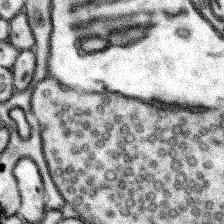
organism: Mouse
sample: Somatosensory cortex neuropil